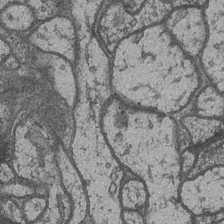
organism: Drosophila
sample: Optic medulla